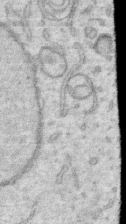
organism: Human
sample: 1205lu cells